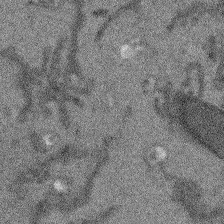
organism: Arabidopsis thaliana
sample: Root tip